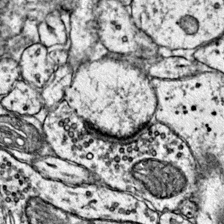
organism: Mouse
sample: Primary visual cortex